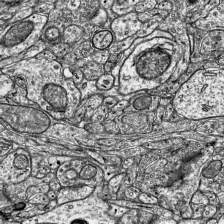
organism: Mouse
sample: Visual Cortex